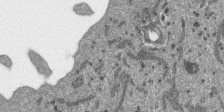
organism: Human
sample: Lung epithelial cells infected with SARS-CoV-2